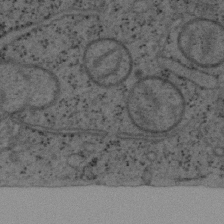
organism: Human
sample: HeLa cells